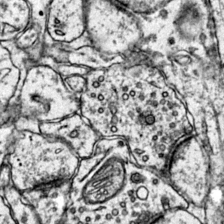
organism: Mouse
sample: Primary visual cortex